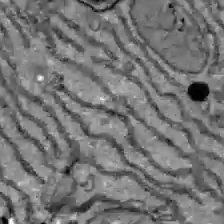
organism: C57BL Mouse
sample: Liver